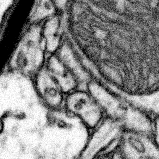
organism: Mouse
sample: Somatosensory cortex neuropil